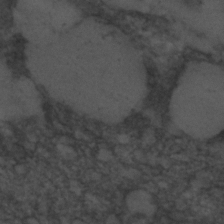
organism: C. elegans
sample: C. elegans embryo